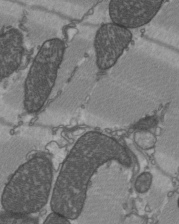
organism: C57BL Mouse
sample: Heart